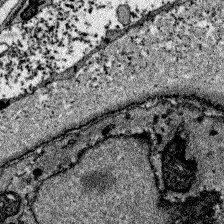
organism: Zebrafish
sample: Larval olfactory bulb